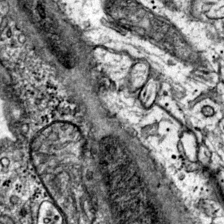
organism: Mouse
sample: Primary visual cortex